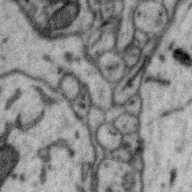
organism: Zebra finch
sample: Brain